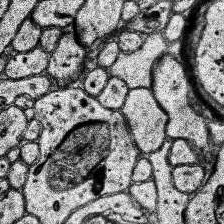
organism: Human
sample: Temporal Lobe